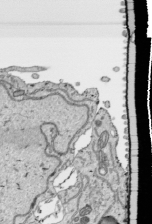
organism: Human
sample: Mitochondria in HCT116 cells